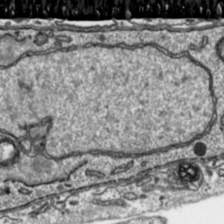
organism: Toxoplasma gondii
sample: Parasites in a vacuole inside a host cell